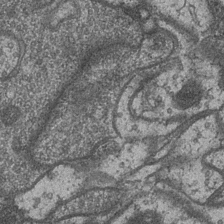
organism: Drosophila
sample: Optic medulla